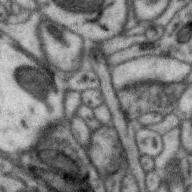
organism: Zebra finch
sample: Brain